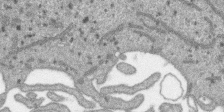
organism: Human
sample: Lung epithelial cells infected with SARS-CoV-2